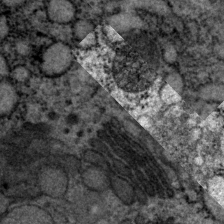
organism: P. pacificus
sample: Pharynx